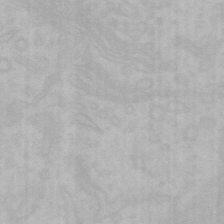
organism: Mouse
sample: Choroid plexus